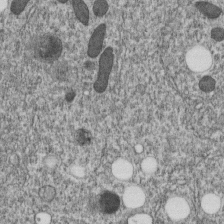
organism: C. elegans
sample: C. elegans embryo early stage